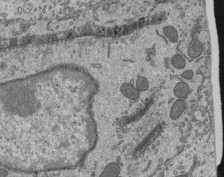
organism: Mouse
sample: Mouse epididymis efferent ductule cilia